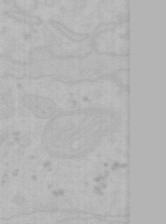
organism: Mouse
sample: Choroid plexus